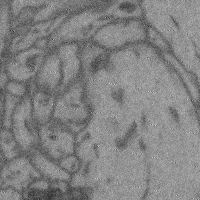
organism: Mouse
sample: Cerebral cortex